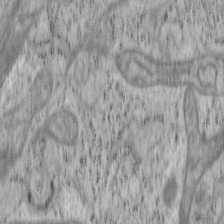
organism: Human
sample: HeLa cells